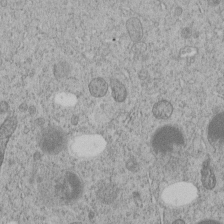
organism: C. elegans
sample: C. elegans embryo early stage